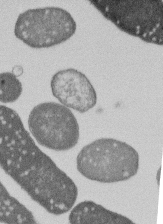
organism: E. coli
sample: Bacterial nucleoid